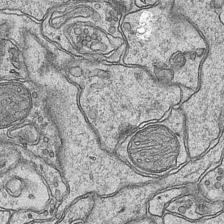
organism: Mouse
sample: CA1 Hippocampus